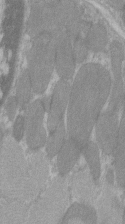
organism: C57BL Mouse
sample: Tibialis anterior muscle cell